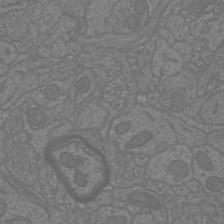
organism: Mouse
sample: Cortical neurons